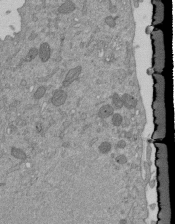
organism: Mouse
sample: ED-1 cell nuclei; centrioles